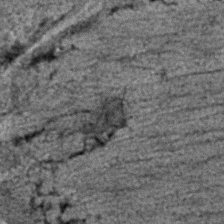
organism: C. elegans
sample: C. elegans embryo